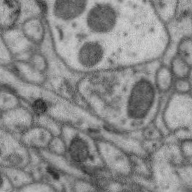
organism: Zebra finch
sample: Brain